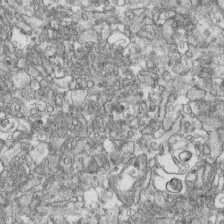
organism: Human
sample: CRL-1474